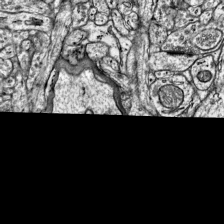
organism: Mouse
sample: Visual Cortex